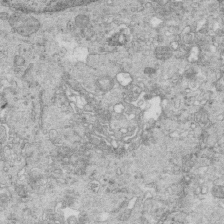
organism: Mouse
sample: Multiciliated cells